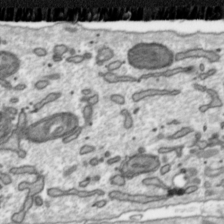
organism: Toxoplasma gondii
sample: Parasites in a vacuole inside a host cell